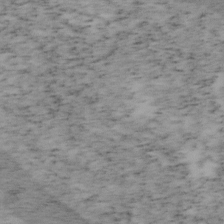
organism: Mouse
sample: OT-I killer T cells with ID8 ovarian cancer cells